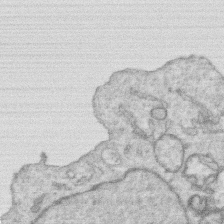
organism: Human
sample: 1205lu cells